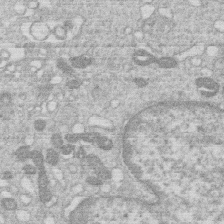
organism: Human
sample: Macrophage cells